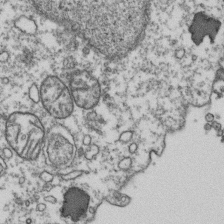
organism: Human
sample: Activated Jurkat CD4+ T cells